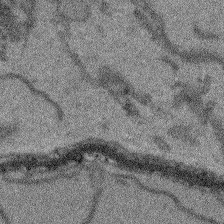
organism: Arabidopsis thaliana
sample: Root tip